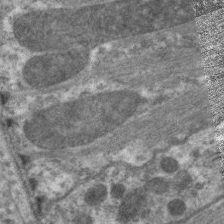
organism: C. elegans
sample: Pharynx